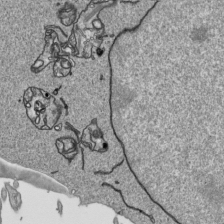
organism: Human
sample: Mitochondria in HCT116 cells